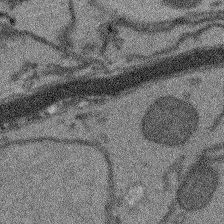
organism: Arabidopsis thaliana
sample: Root tip